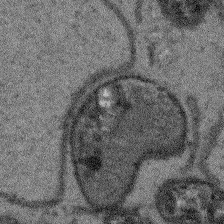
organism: Arabidopsis thaliana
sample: Root tip